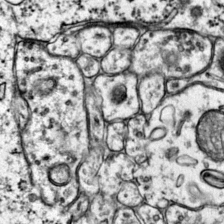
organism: Mouse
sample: Primary visual cortex